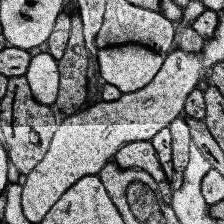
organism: Human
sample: Temporal Lobe